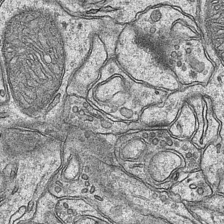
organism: Mouse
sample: CA1 Hippocampus